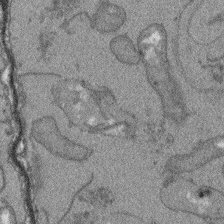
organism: Arabidopsis thaliana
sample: Root tip